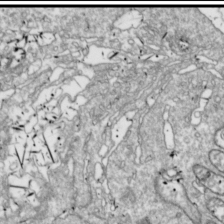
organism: Drosophila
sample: Cell division; meiosis; drosophila spermatocytes